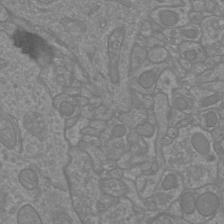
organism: Mouse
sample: Cortical neurons